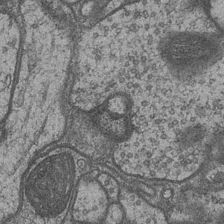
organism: Drosophila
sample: Optic medulla